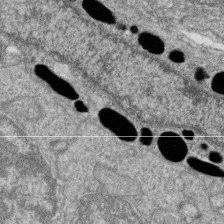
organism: Zebrafish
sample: Cilia; retinal pigment epithelium